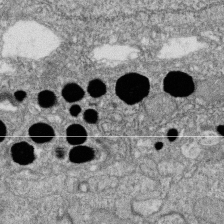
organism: Zebrafish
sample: Cilia; retinal pigment epithelium